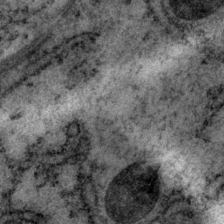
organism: P. pacificus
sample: Pharynx